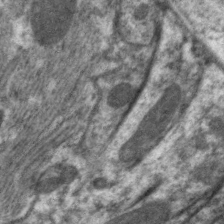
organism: C. elegans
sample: Pharynx